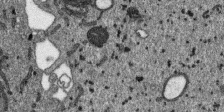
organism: Human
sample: Lung epithelial cells infected with SARS-CoV-2